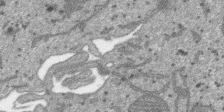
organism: Human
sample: Lung epithelial cells infected with SARS-CoV-2